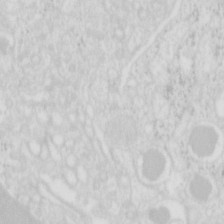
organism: Mouse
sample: Pancreas